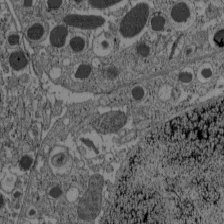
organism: C57BL Mouse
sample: Pancreatic islet